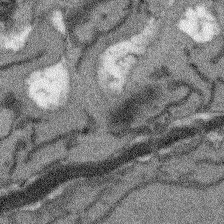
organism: Arabidopsis thaliana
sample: Root tip